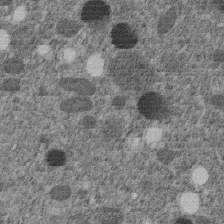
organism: C. elegans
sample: C. elegans embryo early stage